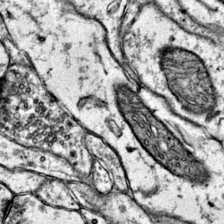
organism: Mouse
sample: Primary visual cortex